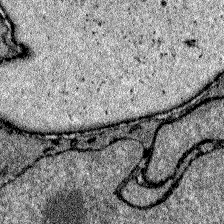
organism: Zebrafish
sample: Larval olfactory bulb